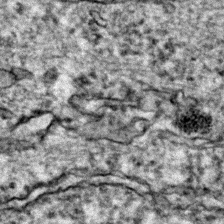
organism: Zebrafish